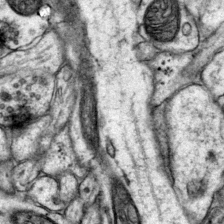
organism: Mouse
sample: Primary visual cortex